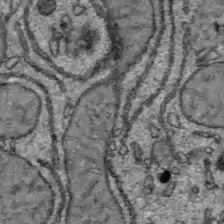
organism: C57BL Mouse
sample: Liver